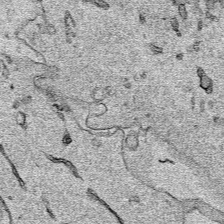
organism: Human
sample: Mitochondria in HCT116 cells